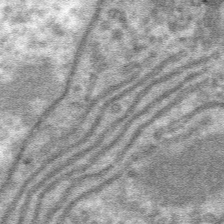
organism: Mouse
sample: Mouse hepatocytes